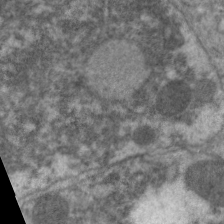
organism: C. elegans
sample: Pharynx